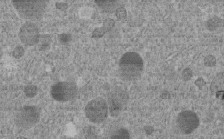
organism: C. elegans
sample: C. elegans embryo early stage